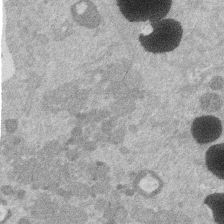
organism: Mouse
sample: Dividing mouse embryo 1 cell stage